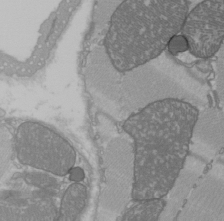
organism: C57BL Mouse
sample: Heart